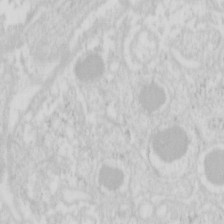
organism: Mouse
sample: Pancreas